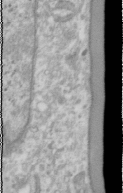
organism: Human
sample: Cilia; basal body in RPE cells